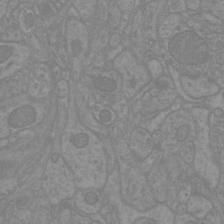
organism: Mouse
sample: Cortical neurons